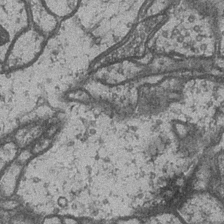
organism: Drosophila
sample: Optic medulla